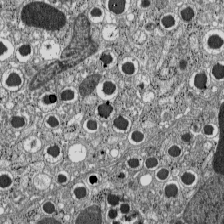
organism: C57BL Mouse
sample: Pancreatic islet